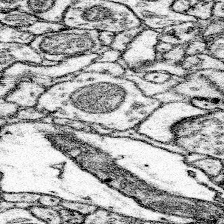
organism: Mouse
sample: Somatosensory cortex neuropil